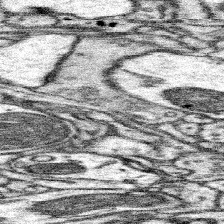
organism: Mouse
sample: Somatosensory cortex neuropil